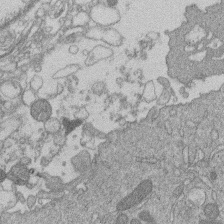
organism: Human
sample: Macrophage cells